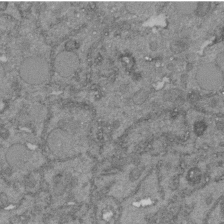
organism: C. elegans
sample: C. elegans embryo early stage